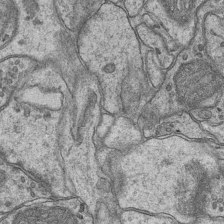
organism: Mouse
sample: CA1 Hippocampus